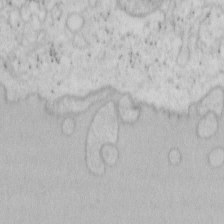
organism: Human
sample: HeLa cells